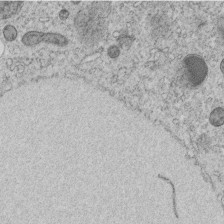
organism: C. elegans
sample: C. elegans embryo early stage